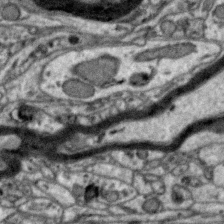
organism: Zebra finch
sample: Brain